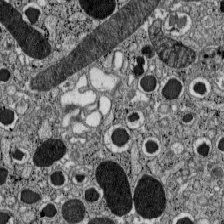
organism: C57BL Mouse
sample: Pancreatic islet